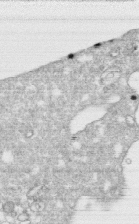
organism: Human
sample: CRL-1474